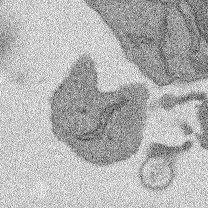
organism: Human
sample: HeLa cells